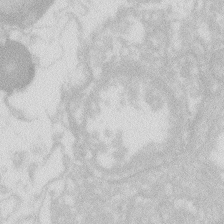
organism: Zebrafish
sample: Macrophage